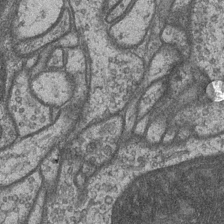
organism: Drosophila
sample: Optic medulla